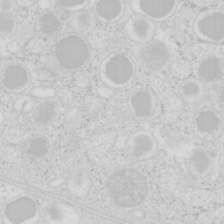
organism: Mouse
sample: Pancreas